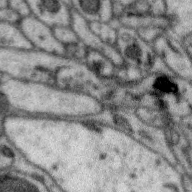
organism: Zebra finch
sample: Brain